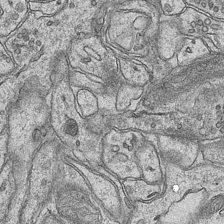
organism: Mouse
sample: CA1 Hippocampus